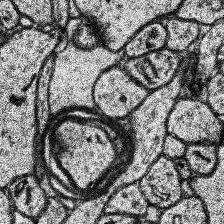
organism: Human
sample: Temporal Lobe